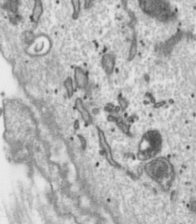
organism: Toxoplasma gondii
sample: Parasites in a vacuole inside a host cell